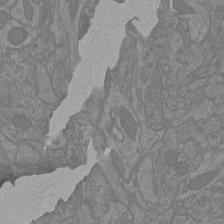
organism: Mouse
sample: Cortical neurons